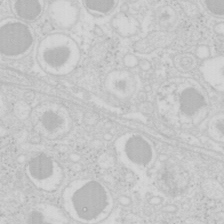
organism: Mouse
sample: Pancreas